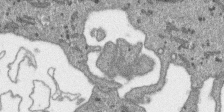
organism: Human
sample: Lung epithelial cells infected with SARS-CoV-2